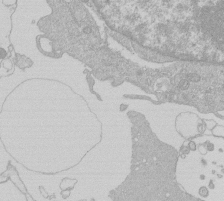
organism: Human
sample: Macrophage cells